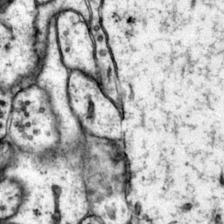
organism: Mouse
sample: Primary visual cortex